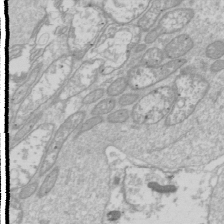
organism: Drosophila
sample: Cell division; meiosis; drosophila spermatocytes